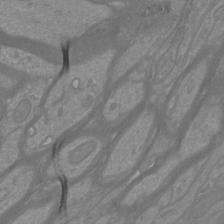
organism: Mouse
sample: Cortical neurons